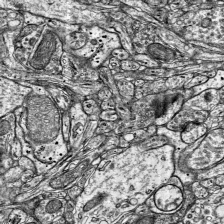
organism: Mouse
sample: Visual Cortex